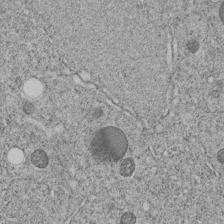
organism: C. elegans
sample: C. elegans embryo early stage